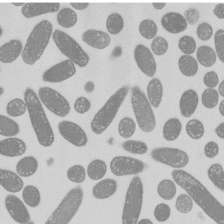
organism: E. coli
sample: Bacterial nucleoid